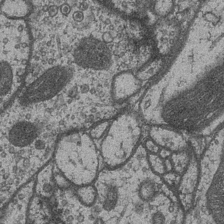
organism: Drosophila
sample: Optic medulla